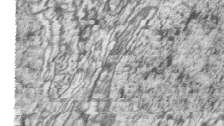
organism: Zebrafish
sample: synaptic ribbons in rod cells and cone cells